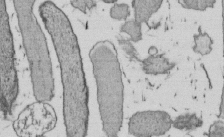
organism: E. coli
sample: Bacterial nucleoid